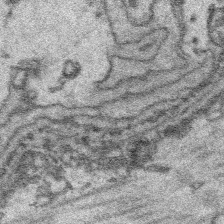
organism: Platynereis dumerilii